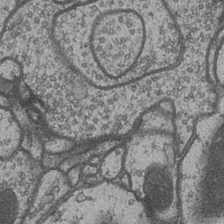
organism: Drosophila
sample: Optic medulla